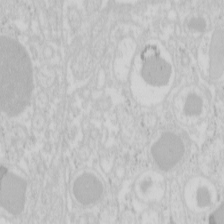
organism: Mouse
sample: Pancreas